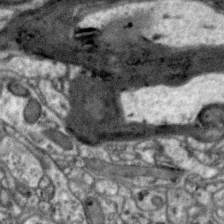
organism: Zebra finch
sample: Brain